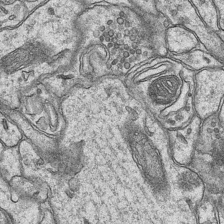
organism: Mouse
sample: CA1 Hippocampus